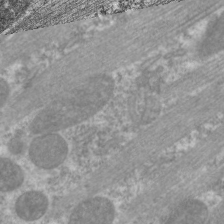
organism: C. elegans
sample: Pharynx